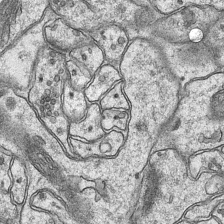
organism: Mouse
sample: CA1 Hippocampus